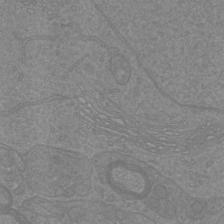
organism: Mouse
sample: Cortical neurons